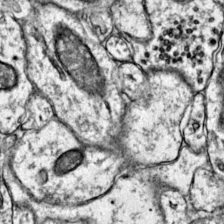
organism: Mouse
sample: Primary visual cortex